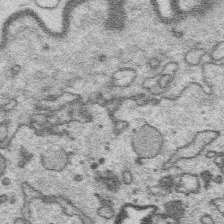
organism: Platynereis dumerilii